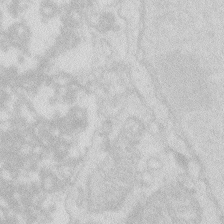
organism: Zebrafish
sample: Macrophage